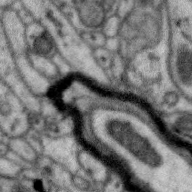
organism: Zebra finch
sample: Brain